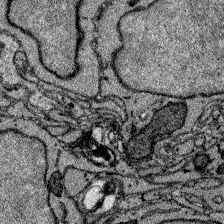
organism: Zebrafish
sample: Larval olfactory bulb